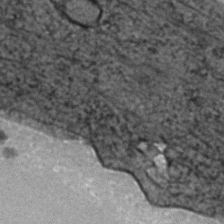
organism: Zebrafish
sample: Zebrafish embryo